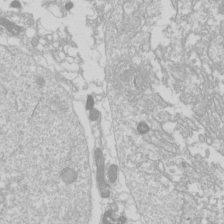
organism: Drosophila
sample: Cell division; meiosis; drosophila spermatocytes